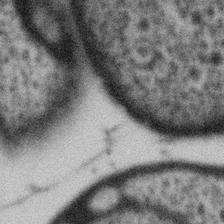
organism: Gemmata obscuriglobus